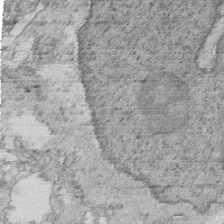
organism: Mouse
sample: Multiciliated cells